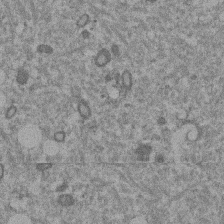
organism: Mouse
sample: Dividing mouse embryo 1 cell stage